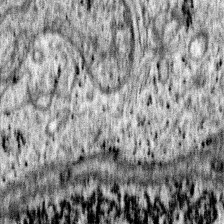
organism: Human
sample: HeLa cells